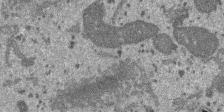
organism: Human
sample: Lung epithelial cells infected with SARS-CoV-2